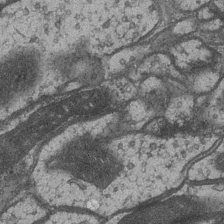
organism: Drosophila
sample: Optic medulla